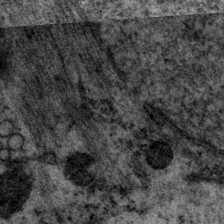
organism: P. pacificus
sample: Pharynx